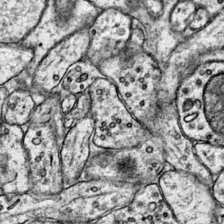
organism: Mouse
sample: Primary visual cortex